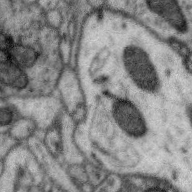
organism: Zebra finch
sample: Brain